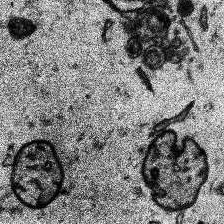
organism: Human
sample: Temporal Lobe